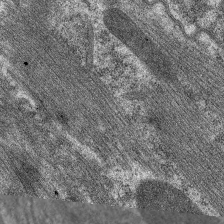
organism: C. elegans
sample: Pharynx